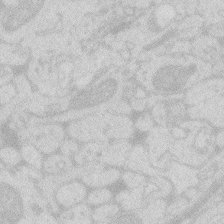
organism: Zebrafish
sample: Macrophage